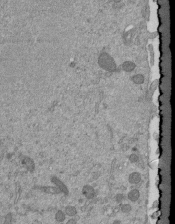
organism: Mouse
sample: ED-1 cell nuclei; centrioles